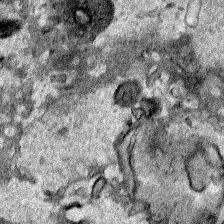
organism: Human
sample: Mitochondria in HCT116 cells